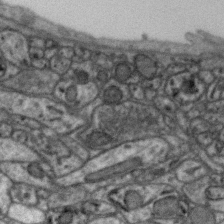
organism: Zebra finch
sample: Brain